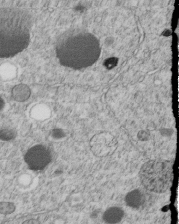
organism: C. elegans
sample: C. elegans embryo early stage